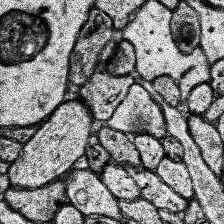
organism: Human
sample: Temporal Lobe